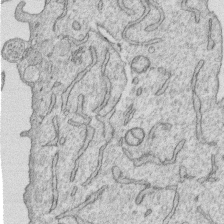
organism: Human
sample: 1205lu cells